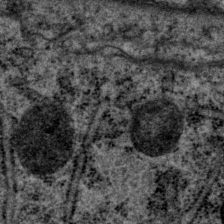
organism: P. pacificus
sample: Pharynx